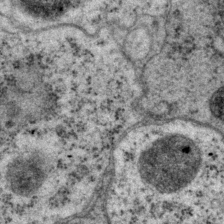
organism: P. pacificus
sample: Pharynx